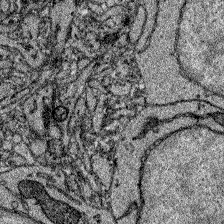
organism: Zebrafish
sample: Larval olfactory bulb